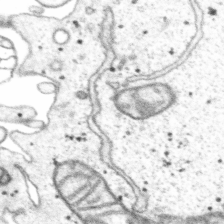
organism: Human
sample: HeLa cells